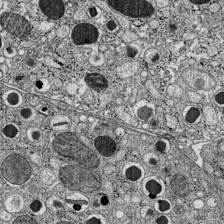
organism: C57BL Mouse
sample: Pancreatic islet